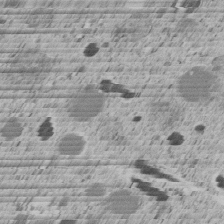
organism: C. elegans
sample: C. elegans embryo early stage